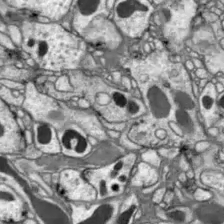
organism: Drosophila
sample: Optic lobe